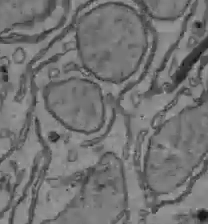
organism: C57BL Mouse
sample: Liver